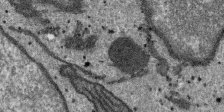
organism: Human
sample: Lung epithelial cells, uninfected (mock) control